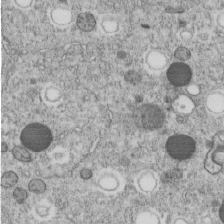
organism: C. elegans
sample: C. elegans embryo early stage